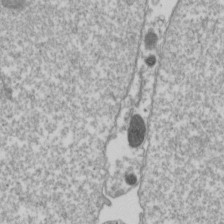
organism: Drosophila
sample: Cell division; meiosis; drosophila spermatocytes